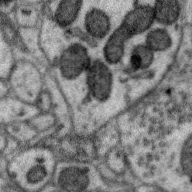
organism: Zebra finch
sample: Brain